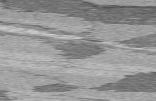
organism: C57BL Mouse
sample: Heart